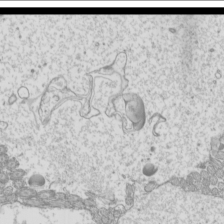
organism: Mouse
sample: Cilia; mouse epididymis